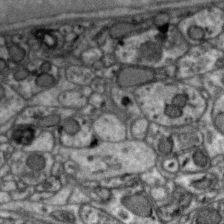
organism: Zebra finch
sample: Brain